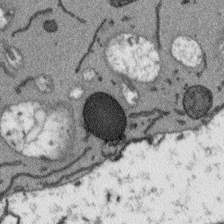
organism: Arabidopsis thaliana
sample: Root tip